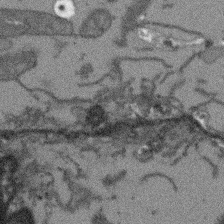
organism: Arabidopsis thaliana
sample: Root tip